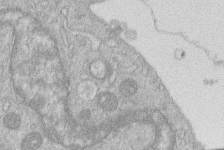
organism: Human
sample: Macrophage cells